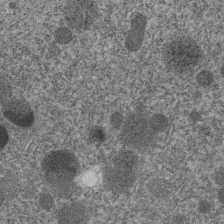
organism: C. elegans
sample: C. elegans embryo early stage